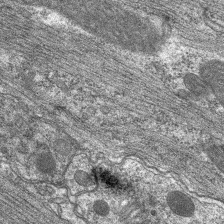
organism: C. elegans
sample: Pharynx